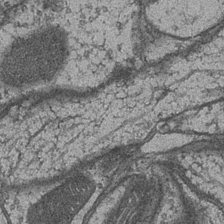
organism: Drosophila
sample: Optic medulla